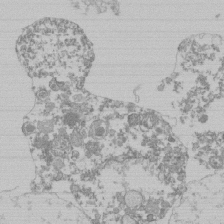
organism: Mouse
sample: Activated Pmel transgenic CD8+ T Cells